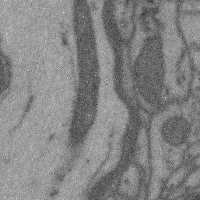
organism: Mouse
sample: Cerebral cortex